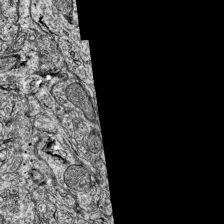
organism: Mouse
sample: Visual Cortex